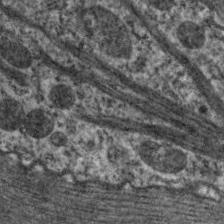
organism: C. elegans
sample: Pharynx